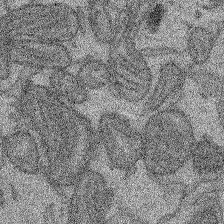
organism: Human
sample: HeLa cells